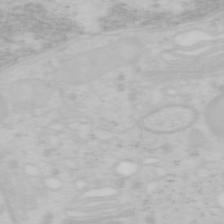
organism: Mouse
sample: OT-I killer T cells with ID8 ovarian cancer cells